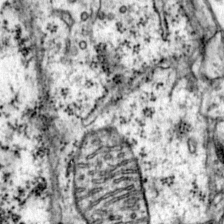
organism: Mouse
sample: Primary visual cortex